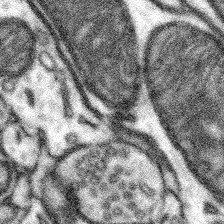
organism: Mouse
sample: Somatosensory cortex neuropil